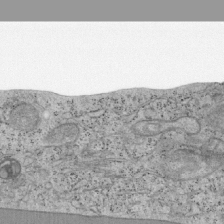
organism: Human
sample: HeLa cells